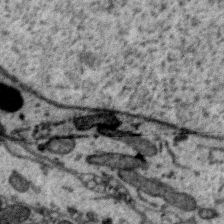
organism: Zebra finch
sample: Brain